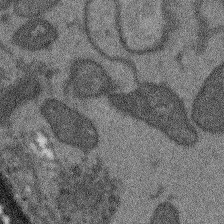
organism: Arabidopsis thaliana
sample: Root tip